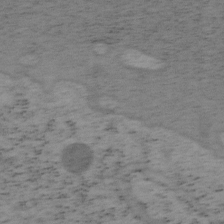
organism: Mouse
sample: OT-I killer T cells with ID8 ovarian cancer cells